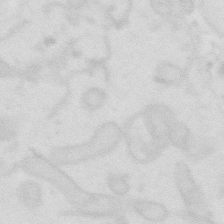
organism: Human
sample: HeLa cells